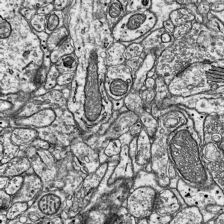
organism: Mouse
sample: Visual Cortex